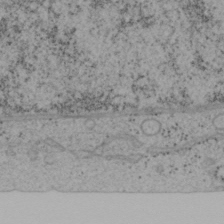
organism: Human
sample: HeLa cells